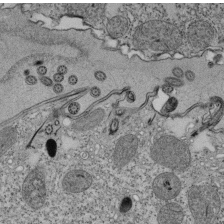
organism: Tetrahymena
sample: Cilia in tetrahymena